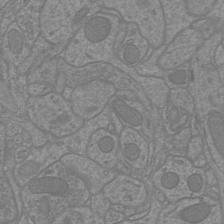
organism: Mouse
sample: Cortical neurons